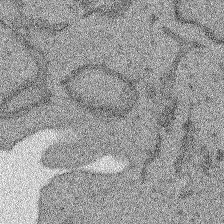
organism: Human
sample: HeLa cells